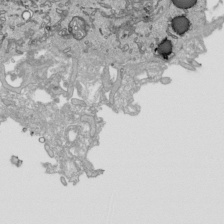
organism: Human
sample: Mitochondria in HCT116 cells